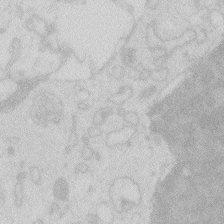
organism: Zebrafish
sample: Macrophage